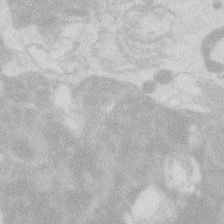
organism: Zebrafish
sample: Macrophage